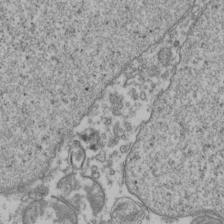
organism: Human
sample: Activated Jurkat CD4+ T cells